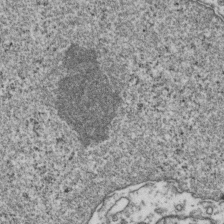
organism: Human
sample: Activated Jurkat CD4+ T cells